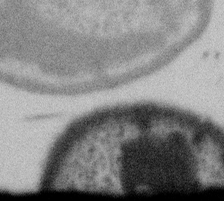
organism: Gemmata obscuriglobus